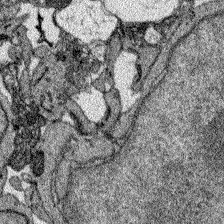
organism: Zebrafish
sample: Larval olfactory bulb